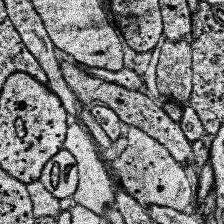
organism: Human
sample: Temporal Lobe